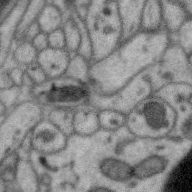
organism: Zebra finch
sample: Brain